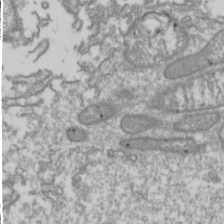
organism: Drosophila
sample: Cell division; meiosis; drosophila spermatocytes